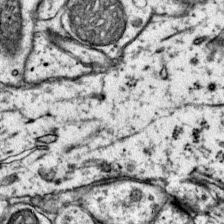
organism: Mouse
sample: Primary visual cortex